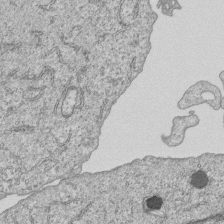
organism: Human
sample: MDA-MB-231 cells